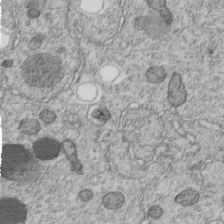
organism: C. elegans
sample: C. elegans embryo early stage